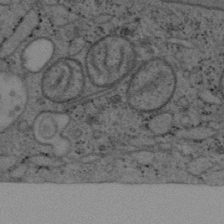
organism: Human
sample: HeLa cells